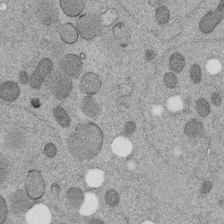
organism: C. elegans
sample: C. elegans embryo early stage